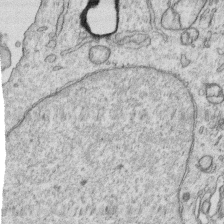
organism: Human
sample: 1205lu cells